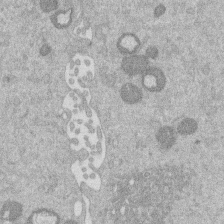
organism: Mouse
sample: Dividing mouse embryo 1 cell stage